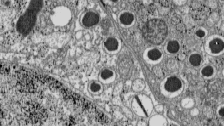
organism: C57BL Mouse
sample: Pancreatic islet